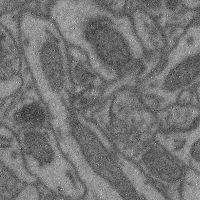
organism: Mouse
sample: Cerebral cortex